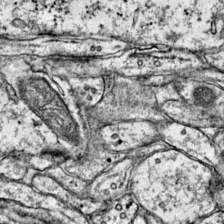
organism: Mouse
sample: Primary visual cortex